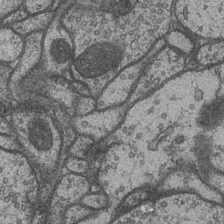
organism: Drosophila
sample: Optic medulla